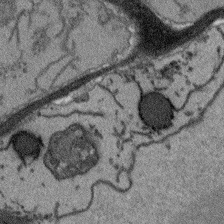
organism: Arabidopsis thaliana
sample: Root tip